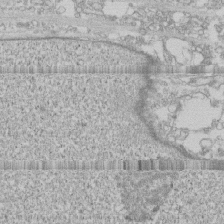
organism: Human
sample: CRL-1474